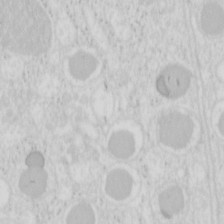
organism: Mouse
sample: Pancreas